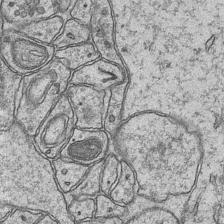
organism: Mouse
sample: CA1 Hippocampus